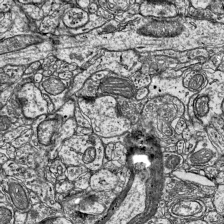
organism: Mouse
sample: Visual Cortex